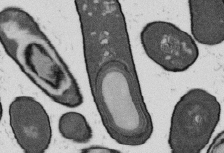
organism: B. subtilis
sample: Bacterial spore